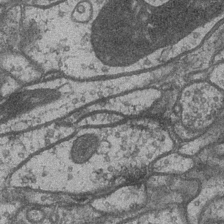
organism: Drosophila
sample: Optic medulla